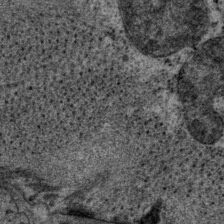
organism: P. pacificus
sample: Pharynx